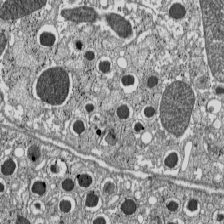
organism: C57BL Mouse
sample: Pancreatic islet